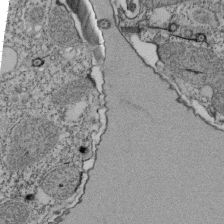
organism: Tetrahymena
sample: Cilia in tetrahymena